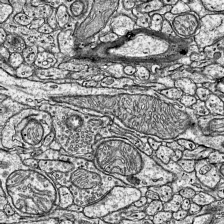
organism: Mouse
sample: Visual Cortex